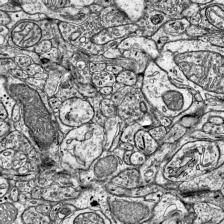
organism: Mouse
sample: Visual Cortex